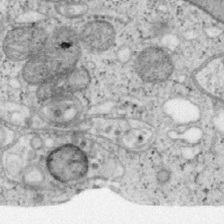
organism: Mouse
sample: OT-I killer T cells with ID8 ovarian cancer cells